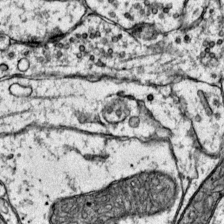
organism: Mouse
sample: Primary visual cortex